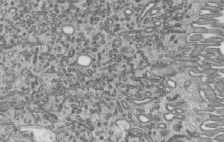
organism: Mouse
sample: Mouse epididymis efferent ductule cilia